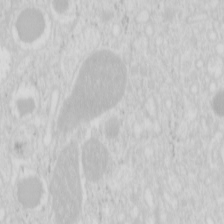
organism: Mouse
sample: Pancreas